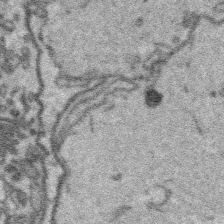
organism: Platynereis dumerilii